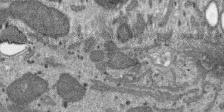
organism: Human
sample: Lung epithelial cells infected with SARS-CoV-2